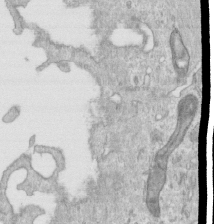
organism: Human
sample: Centriole in RPE cells